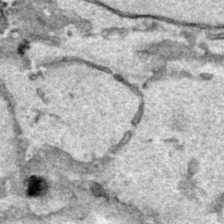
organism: Human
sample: Mitochondria in HCT116 cells